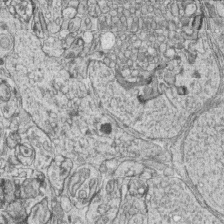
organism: Zebrafish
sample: synaptic ribbons in rod cells and cone cells